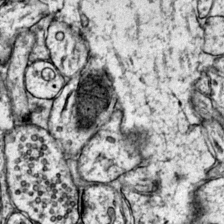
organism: Mouse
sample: Primary visual cortex